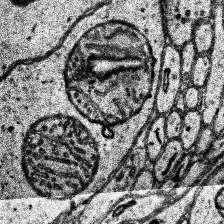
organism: Human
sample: Temporal Lobe